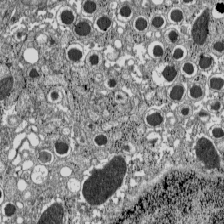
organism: C57BL Mouse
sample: Pancreatic islet